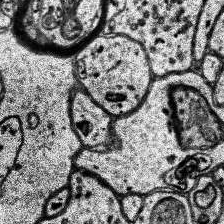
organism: Human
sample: Temporal Lobe